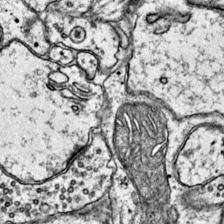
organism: Mouse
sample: Primary visual cortex